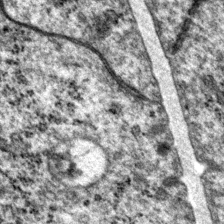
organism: P. pacificus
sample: Pharynx